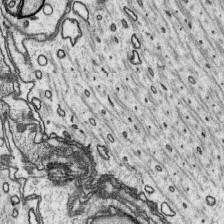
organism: Platynereis dumerilii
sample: Parapodia